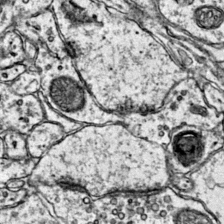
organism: Mouse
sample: Primary visual cortex